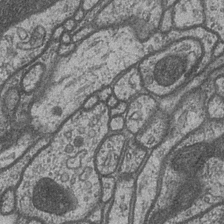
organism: Drosophila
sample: Optic medulla